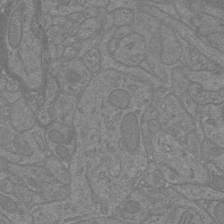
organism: Mouse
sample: Cortical neurons